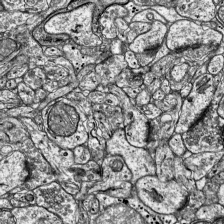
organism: Mouse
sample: Visual Cortex